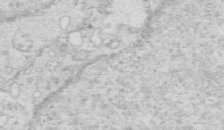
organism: Mouse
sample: Multiciliated cells